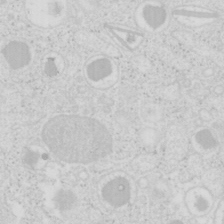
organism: Mouse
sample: Pancreas